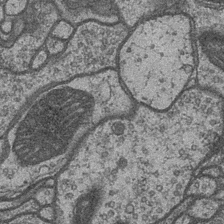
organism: Drosophila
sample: Optic medulla